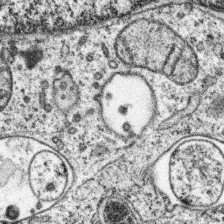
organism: Human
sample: HeLa cells